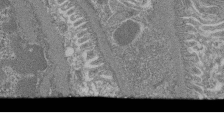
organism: Mouse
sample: Glomerulus